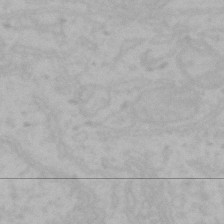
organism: Mouse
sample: Choroid plexus